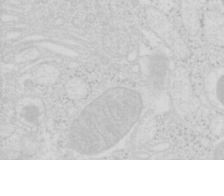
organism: Mouse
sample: Pancreas